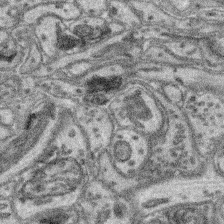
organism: Mouse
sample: Retina